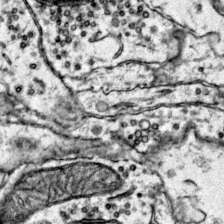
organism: Mouse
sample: Primary visual cortex